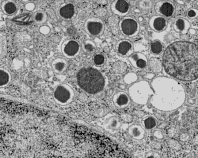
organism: C57BL Mouse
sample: Pancreatic islet